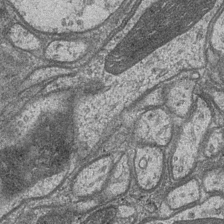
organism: Drosophila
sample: Optic medulla